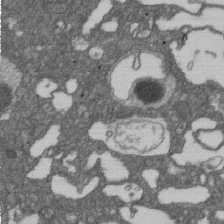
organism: Drosophila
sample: Nephrocyte